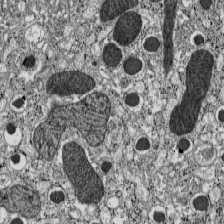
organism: C57BL Mouse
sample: Pancreatic islet